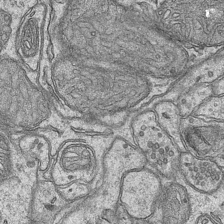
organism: Mouse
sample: CA1 Hippocampus